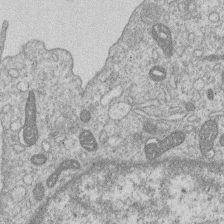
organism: Human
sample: Macrophage cells